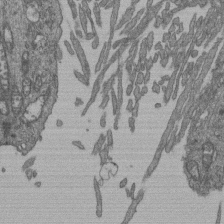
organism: Human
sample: Retinal organoid Rod and Cone cells